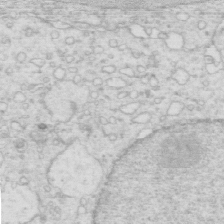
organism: Mouse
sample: Multiciliated cells